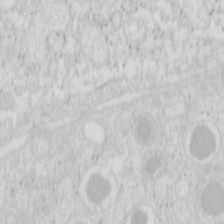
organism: Mouse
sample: Pancreas